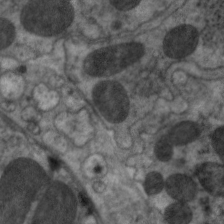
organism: C. elegans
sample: Pharynx